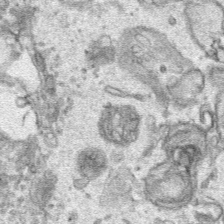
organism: Human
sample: Mitochondria in HCT116 cells